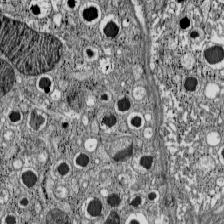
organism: C57BL Mouse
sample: Pancreatic islet